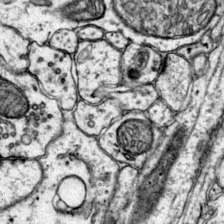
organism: Mouse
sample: Primary visual cortex